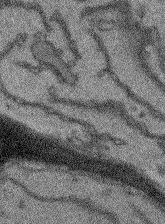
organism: Arabidopsis thaliana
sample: Root tip